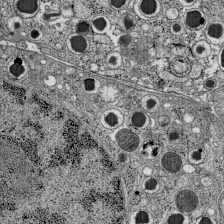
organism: C57BL Mouse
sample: Pancreatic islet